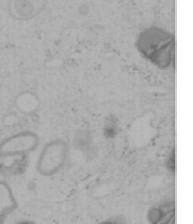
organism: Mouse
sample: OT-I killer T cells with ID8 ovarian cancer cells